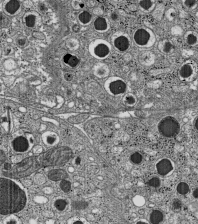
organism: C57BL Mouse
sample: Pancreatic islet